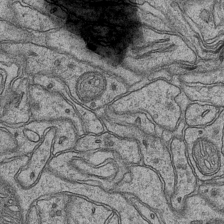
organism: Mouse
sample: CA1 Hippocampus